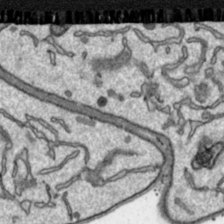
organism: Toxoplasma gondii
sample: Parasites in a vacuole inside a host cell